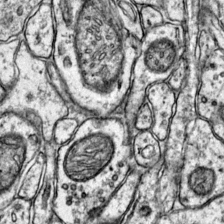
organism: Mouse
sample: Primary visual cortex